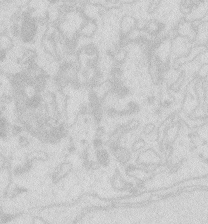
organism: Zebrafish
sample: Macrophage